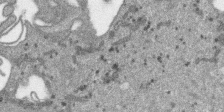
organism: Human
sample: Lung epithelial cells infected with SARS-CoV-2